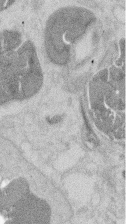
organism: Mouse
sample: T cell stromal cell synapse